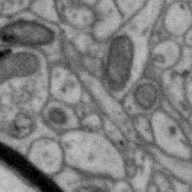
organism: Zebra finch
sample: Brain